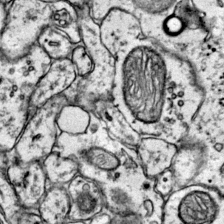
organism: Mouse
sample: Primary visual cortex